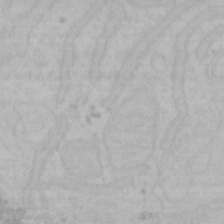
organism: Mouse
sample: Choroid plexus